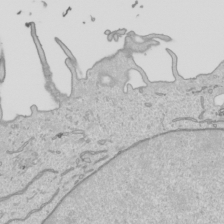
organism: Human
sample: Mitochondria in HCT116 cells